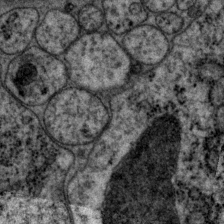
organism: P. pacificus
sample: Pharynx